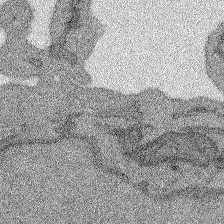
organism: Human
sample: HeLa cells